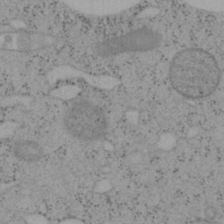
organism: Mouse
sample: OT-I killer T cells with ID8 ovarian cancer cells